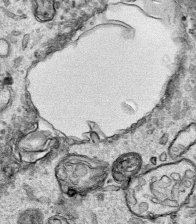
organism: Human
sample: Mitochondria in HCT116 cells